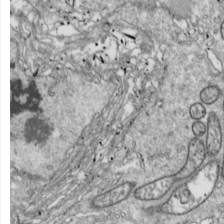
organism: Drosophila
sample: Cell division; meiosis; drosophila spermatocytes